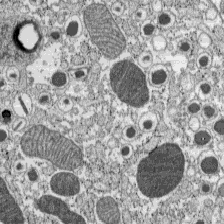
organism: C57BL Mouse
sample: Pancreatic islet